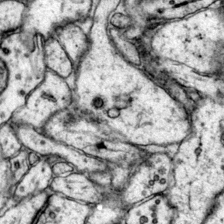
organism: Mouse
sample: Primary visual cortex